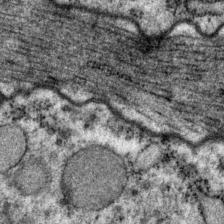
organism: P. pacificus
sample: Pharynx